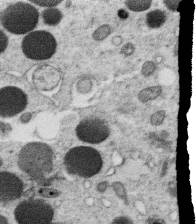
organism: C. elegans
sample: C. elegans oocyte; sperm cells